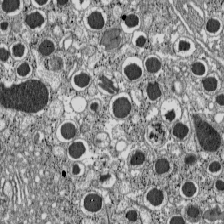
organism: C57BL Mouse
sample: Pancreatic islet